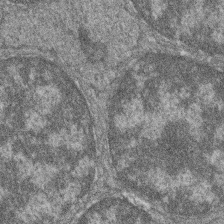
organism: Zebrafish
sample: Cilia; retinal pigment epithelium